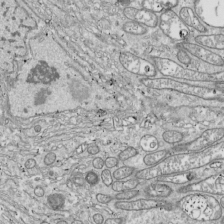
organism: Drosophila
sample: Cell division; meiosis; drosophila spermatocytes